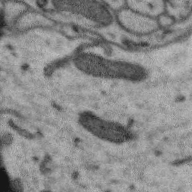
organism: Zebra finch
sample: Brain